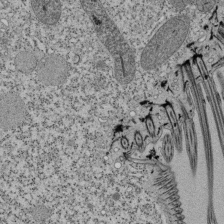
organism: Tetrahymena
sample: Cilia in tetrahymena